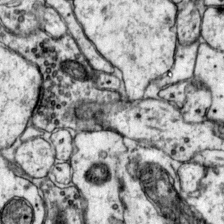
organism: Mouse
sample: Primary visual cortex